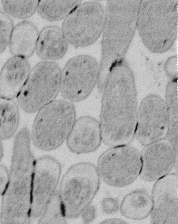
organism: E. coli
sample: Bacterial nucleoid